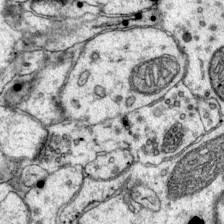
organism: Mouse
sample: Primary visual cortex